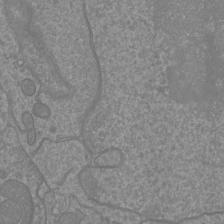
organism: Mouse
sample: Cortical neurons